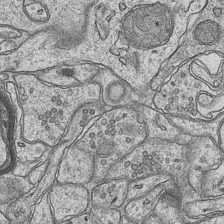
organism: Mouse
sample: CA1 Hippocampus